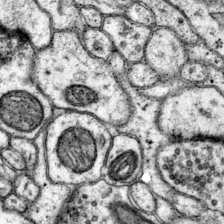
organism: Mouse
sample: Primary visual cortex